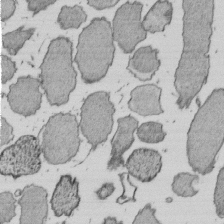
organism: E. coli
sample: Bacterial nucleoid